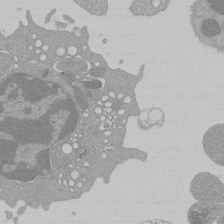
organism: Mouse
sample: Activated Pmel transgenic CD8+ T Cells